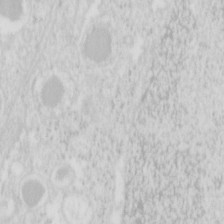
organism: Mouse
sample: Pancreas